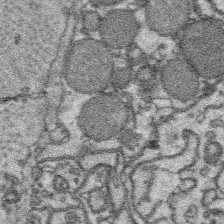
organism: Platynereis dumerilii